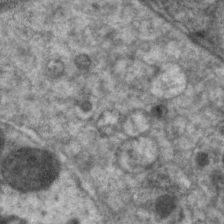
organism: C. elegans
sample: Pharynx